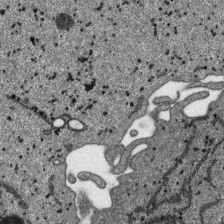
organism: Human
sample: Lung epithelial cells infected with SARS-CoV-2